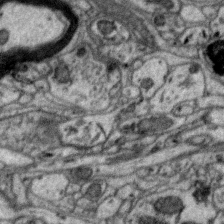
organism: Zebra finch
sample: Brain